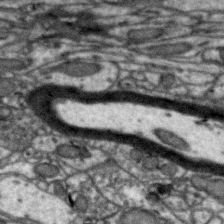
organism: Zebra finch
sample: Brain